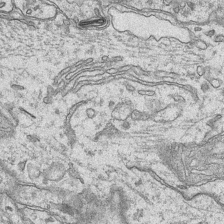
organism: Mouse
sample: CA1 Hippocampus